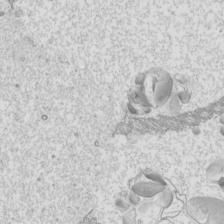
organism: Mouse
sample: Cilia; mouse epididymis